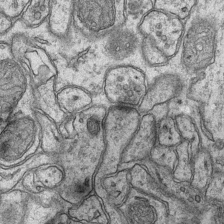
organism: Mouse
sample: CA1 Hippocampus